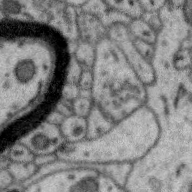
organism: Zebra finch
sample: Brain